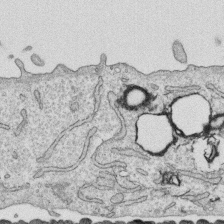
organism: Human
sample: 1205lu cells